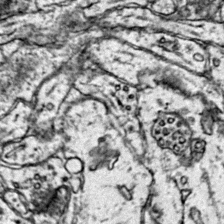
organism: Mouse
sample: Primary visual cortex